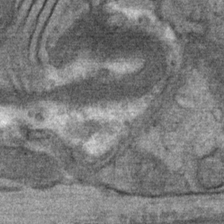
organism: Mouse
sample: Mouse Salivary gland